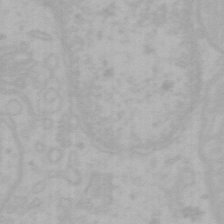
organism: Mouse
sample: Choroid plexus